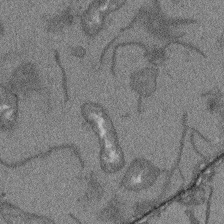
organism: Arabidopsis thaliana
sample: Root tip